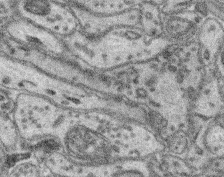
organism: Mouse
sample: Retina